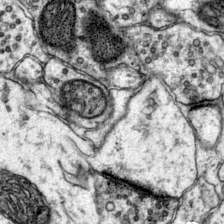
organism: Mouse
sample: Primary visual cortex